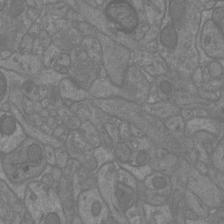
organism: Mouse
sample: Cortical neurons